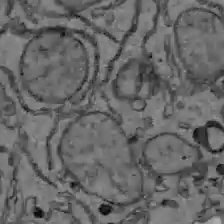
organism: C57BL Mouse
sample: Liver